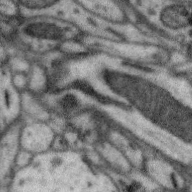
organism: Zebra finch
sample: Brain